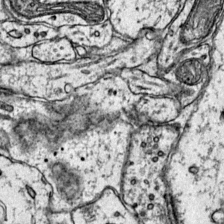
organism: Mouse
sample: Primary visual cortex